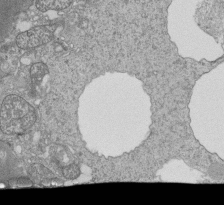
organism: Tetrahymena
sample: Cilia in tetrahymena